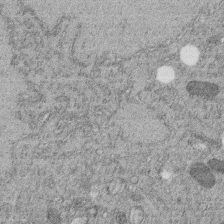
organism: C. elegans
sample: C. elegans embryo early stage